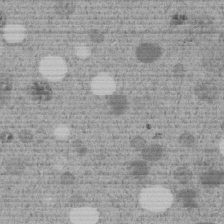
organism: C. elegans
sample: C. elegans embryo early stage